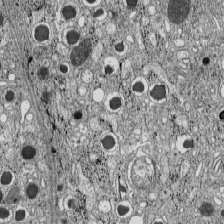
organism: C57BL Mouse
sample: Pancreatic islet